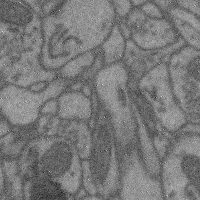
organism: Mouse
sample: Cerebral cortex